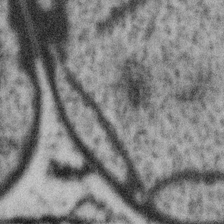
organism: Gemmata obscuriglobus